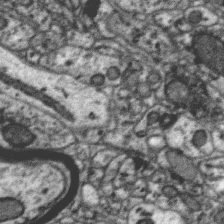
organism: Zebra finch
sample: Brain